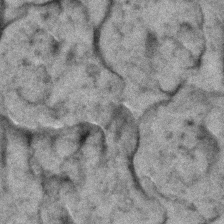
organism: Zebrafish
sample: Zebrafish embryo